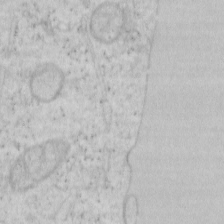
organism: Human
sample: HeLa cells